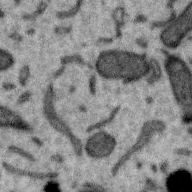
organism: Zebra finch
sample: Brain